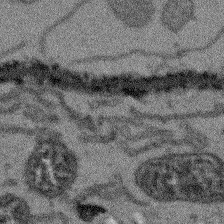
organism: Arabidopsis thaliana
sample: Root tip